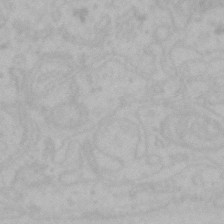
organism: Mouse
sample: Choroid plexus